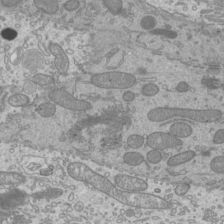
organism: Mouse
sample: Cilia; mouse epididymis